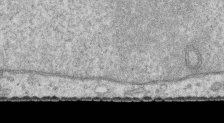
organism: Human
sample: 1205lu cells